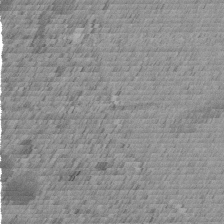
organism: C. elegans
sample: C. elegans embryo early stage